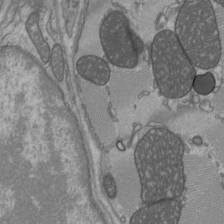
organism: C57BL Mouse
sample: Heart